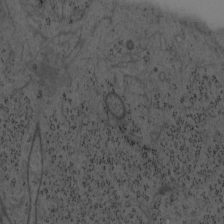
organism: Mouse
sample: OT-I killer T cells with ID8 ovarian cancer cells